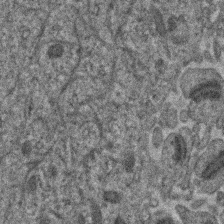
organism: Human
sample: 1205lu cells